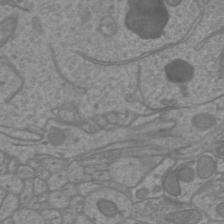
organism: Mouse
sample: Cortical neurons